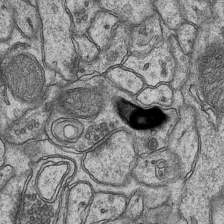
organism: Mouse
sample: CA1 Hippocampus